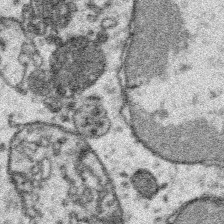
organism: Platynereis dumerilii